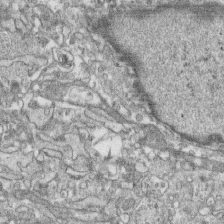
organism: Human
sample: CRL-1474